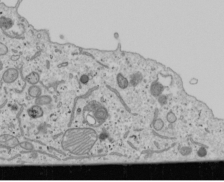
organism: Human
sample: Mitochondria in U2OS cells